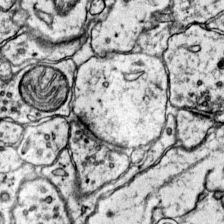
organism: Mouse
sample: Primary visual cortex